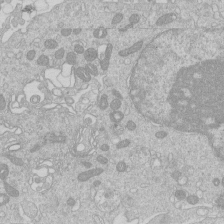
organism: Human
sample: Macrophage cells